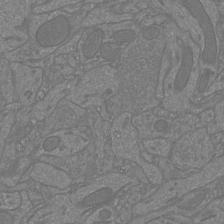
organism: Mouse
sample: Cortical neurons